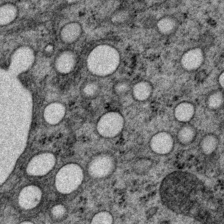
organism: P. pacificus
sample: Pharynx